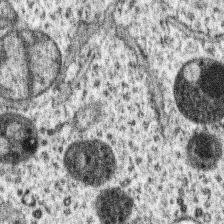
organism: Human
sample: HeLa cells